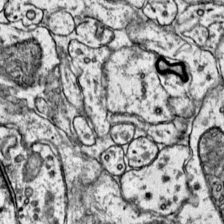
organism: Mouse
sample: Primary visual cortex